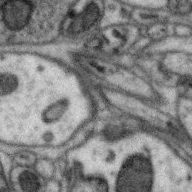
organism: Zebra finch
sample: Brain